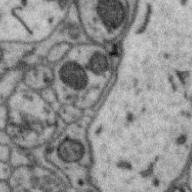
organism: Zebra finch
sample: Brain